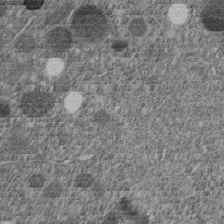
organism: C. elegans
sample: C. elegans embryo early stage